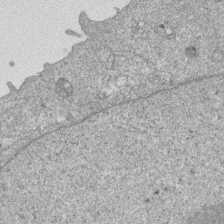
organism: Human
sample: HeLa cell HIV synapse